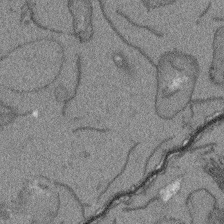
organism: Arabidopsis thaliana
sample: Root tip